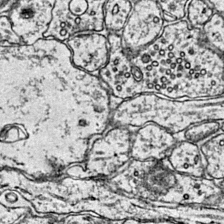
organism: Mouse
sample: Primary visual cortex